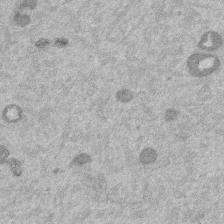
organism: Mouse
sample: Dividing mouse embryo 1 cell stage